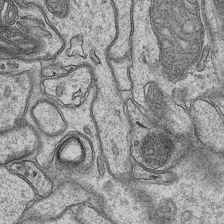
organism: Mouse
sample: CA1 Hippocampus